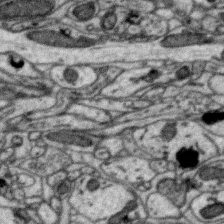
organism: Zebra finch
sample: Brain